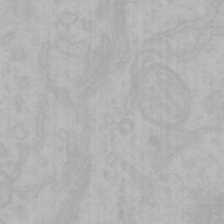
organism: Mouse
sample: Choroid plexus